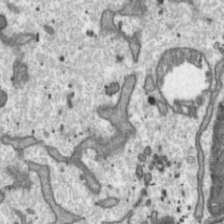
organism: Toxoplasma gondii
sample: Parasites in a vacuole inside a host cell